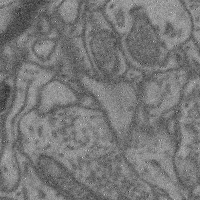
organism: Mouse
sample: Cerebral cortex